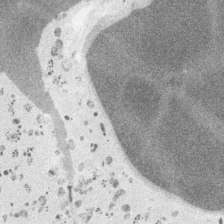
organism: Embia sp.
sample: Silk gland